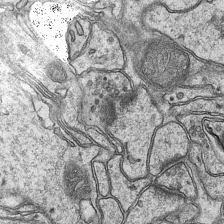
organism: Mouse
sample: CA1 Hippocampus